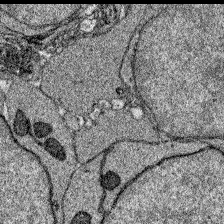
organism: Zebrafish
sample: Larval olfactory bulb